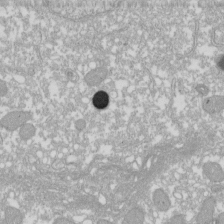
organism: Xenopus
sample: Cilia; centrioles in frog embryo cells